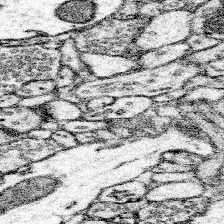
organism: Mouse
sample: Somatosensory cortex neuropil